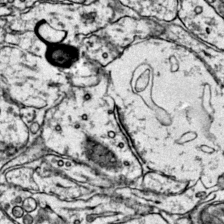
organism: Mouse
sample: Primary visual cortex